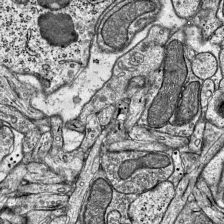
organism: Mouse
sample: Visual Cortex